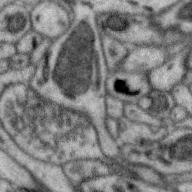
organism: Zebra finch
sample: Brain